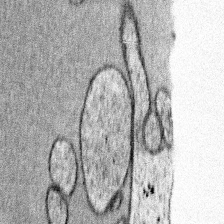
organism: Human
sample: HeLa cells